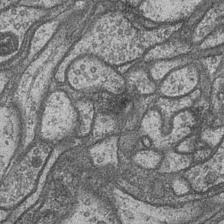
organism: Drosophila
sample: Optic medulla